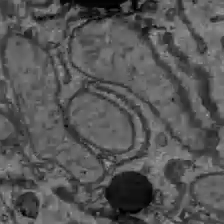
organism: C57BL Mouse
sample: Liver